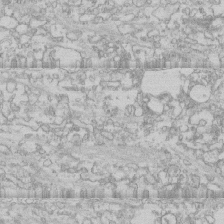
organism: Human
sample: CRL-1474